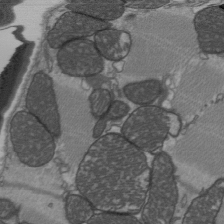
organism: C57BL Mouse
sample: Heart